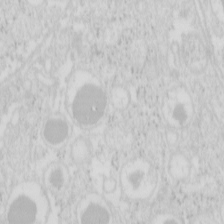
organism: Mouse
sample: Pancreas